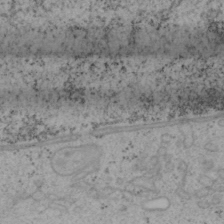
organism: Human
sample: HeLa cells